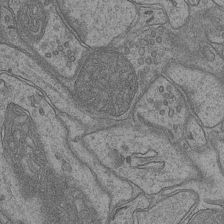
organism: Mouse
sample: CA1 Hippocampus